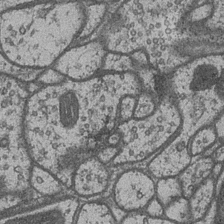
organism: Drosophila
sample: Optic medulla